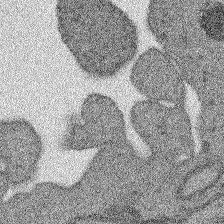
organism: Human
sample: HeLa cells